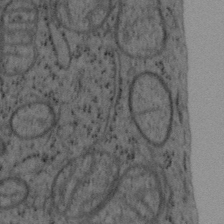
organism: Human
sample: HeLa cells